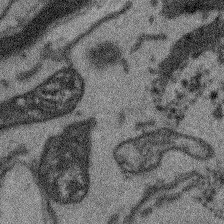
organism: Arabidopsis thaliana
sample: Root tip